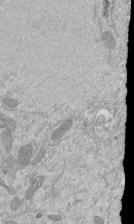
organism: Mouse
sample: ED-1 cell nuclei; centrioles